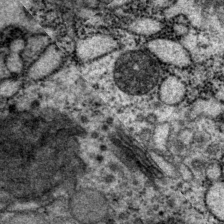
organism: P. pacificus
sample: Pharynx